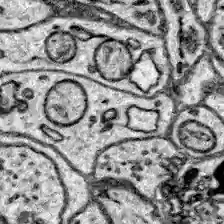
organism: Zebrafish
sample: Brain